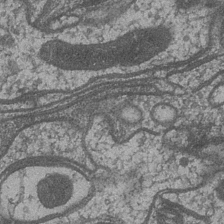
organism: Drosophila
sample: Optic medulla